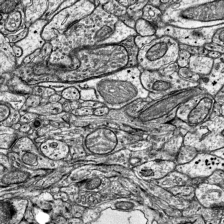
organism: Mouse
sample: Visual Cortex